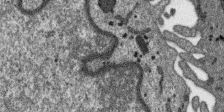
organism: Human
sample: Lung epithelial cells infected with SARS-CoV-2